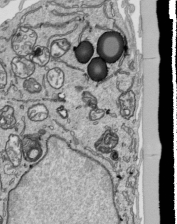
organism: Human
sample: Mitochondria in HCT116 cells